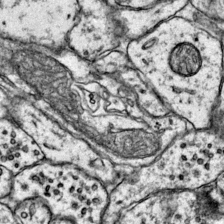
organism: Mouse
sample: Primary visual cortex